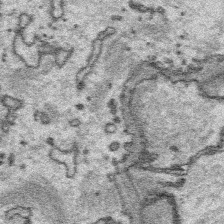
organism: Platynereis dumerilii